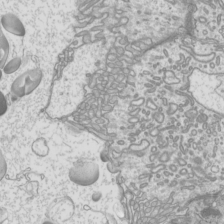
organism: Mouse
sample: Cilia; mouse epididymis